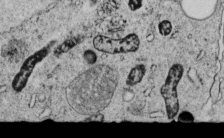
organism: C. elegans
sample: C. elegans embryo early stage